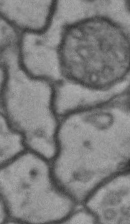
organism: Drosophila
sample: Brain